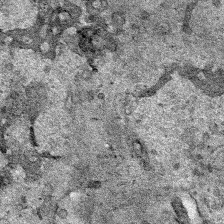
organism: Human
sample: Mitochondria in HCT116 cells